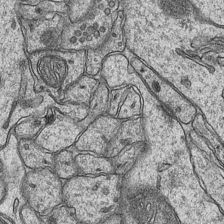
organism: Mouse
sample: CA1 Hippocampus